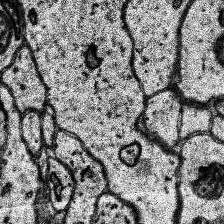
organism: Human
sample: Temporal Lobe